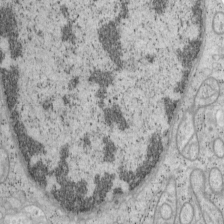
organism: Mouse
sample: OT-I killer T cells with ID8 ovarian cancer cells